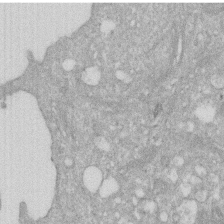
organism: Human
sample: HIV infected U937 cells